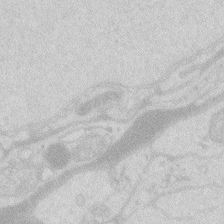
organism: Zebrafish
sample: Macrophage